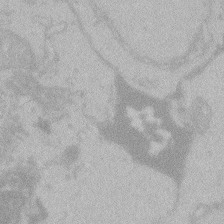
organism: Zebrafish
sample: Macrophage infected with Toxoplasma gondii